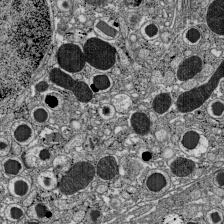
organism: C57BL Mouse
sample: Pancreatic islet